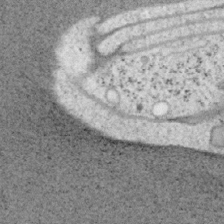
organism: Mouse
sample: OT-I killer T cells with ID8 ovarian cancer cells